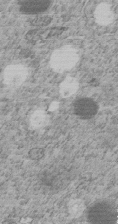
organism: C. elegans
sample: C. elegans embryo early stage